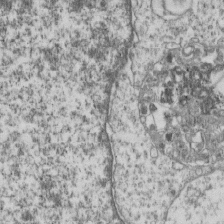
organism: Human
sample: MDA-MB-231 cells